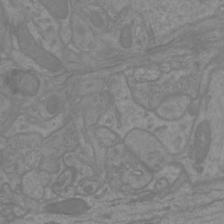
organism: Mouse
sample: Cortical neurons